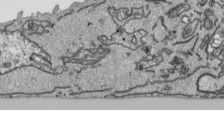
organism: Human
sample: Mitochondria in HCT116 cells